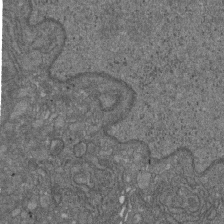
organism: Drosophila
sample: Nephrocyte